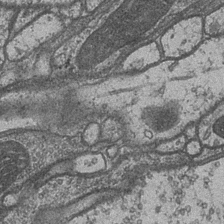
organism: Drosophila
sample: Optic medulla